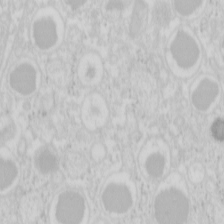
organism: Mouse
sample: Pancreas